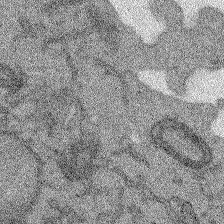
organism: Human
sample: HeLa cells